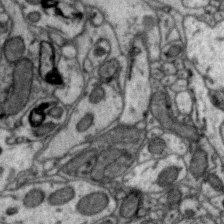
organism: Zebra finch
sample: Brain